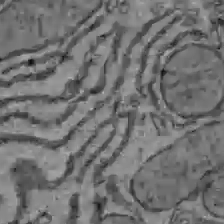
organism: C57BL Mouse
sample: Liver